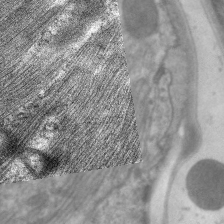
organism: C. elegans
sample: Pharynx